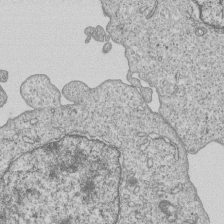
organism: Human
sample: MDA-MB-231 cells